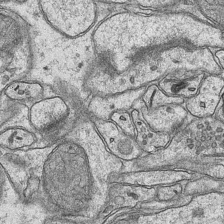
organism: Mouse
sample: CA1 Hippocampus